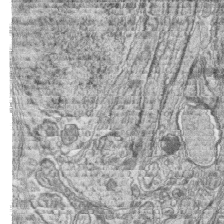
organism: Zebrafish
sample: synaptic ribbons in rod cells and cone cells